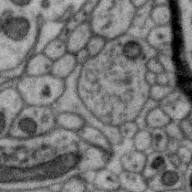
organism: Zebra finch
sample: Brain